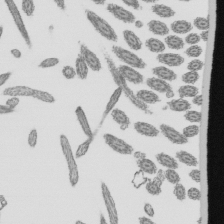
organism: Mouse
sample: Mouse epididymis efferent ductule cilia